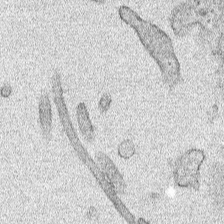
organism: Human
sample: Mitochondria in HCT116 cells